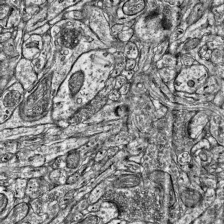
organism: Mouse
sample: Visual Cortex